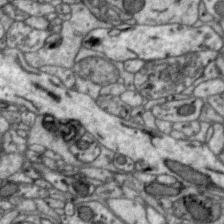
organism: Zebra finch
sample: Brain